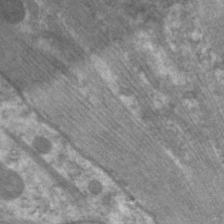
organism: C. elegans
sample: Pharynx